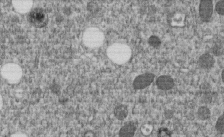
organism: C. elegans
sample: C. elegans embryo early stage